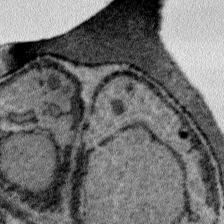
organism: Plasmodium falciparum